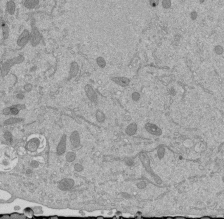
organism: Mouse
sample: ED-1 cell nuclei; centrioles